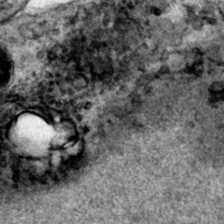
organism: Human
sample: Mitochondria in HCT116 cells